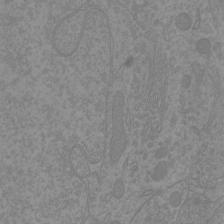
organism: Mouse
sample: Cortical neurons